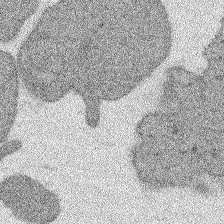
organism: Human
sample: HeLa cells